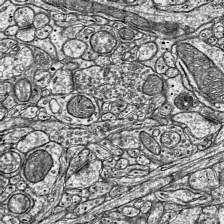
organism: Mouse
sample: Visual Cortex